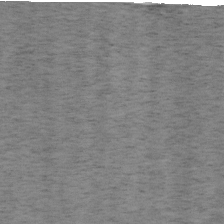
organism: Mouse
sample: OT-I killer T cells with ID8 ovarian cancer cells